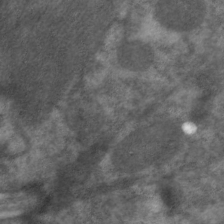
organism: C. elegans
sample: Pharynx